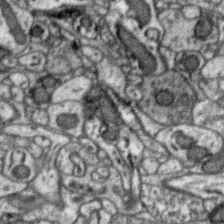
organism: Zebra finch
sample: Brain